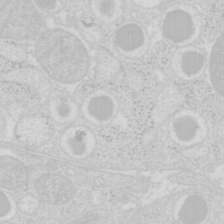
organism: Mouse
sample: Pancreas